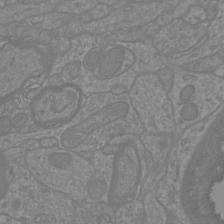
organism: Mouse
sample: Cortical neurons